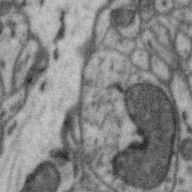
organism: Zebra finch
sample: Brain